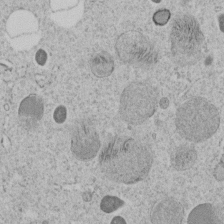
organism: C. elegans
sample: C. elegans embryo early stage